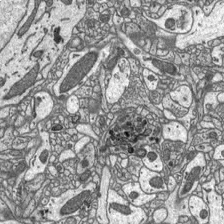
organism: C57BL Mouse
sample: Optic nerve head